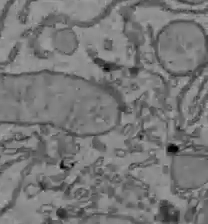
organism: C57BL Mouse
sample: Liver